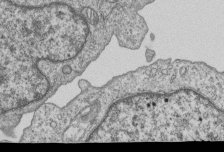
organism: Human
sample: MDA-MB-231 cells